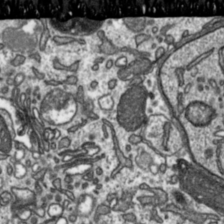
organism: Toxoplasma gondii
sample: Parasites in a vacuole inside a host cell